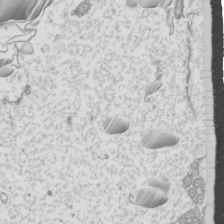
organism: Mouse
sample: Cilia; mouse epididymis